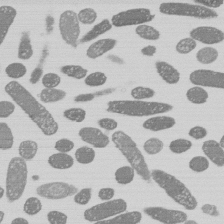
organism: E. coli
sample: Bacterial nucleoid